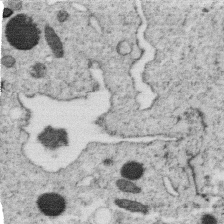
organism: C. elegans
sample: C. elegans oocyte; sperm cells